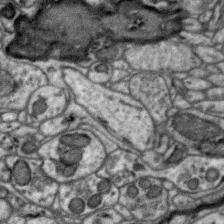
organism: Zebra finch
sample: Brain